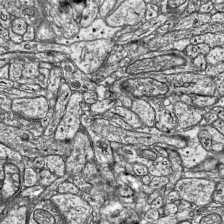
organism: Mouse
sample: Visual Cortex